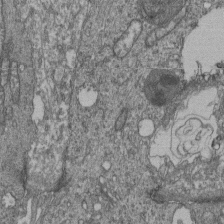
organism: Human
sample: Retinal organoid Rod and Cone cells